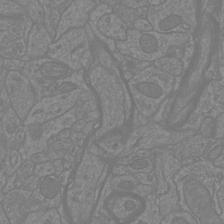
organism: Mouse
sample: Cortical neurons